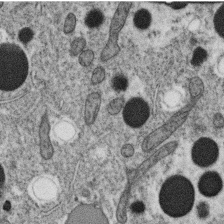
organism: C. elegans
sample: C. elegans oocyte; sperm cells